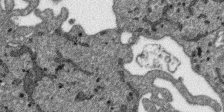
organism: Human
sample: Lung epithelial cells infected with SARS-CoV-2